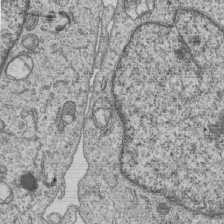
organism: Human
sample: MDA-MB-231 cells